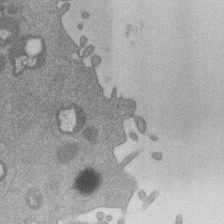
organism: Mouse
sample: Dividing mouse embryo 1 cell stage